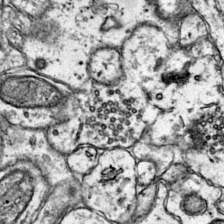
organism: Mouse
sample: Primary visual cortex